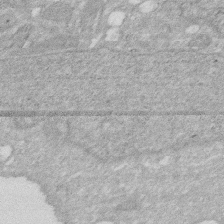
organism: Human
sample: HIV infected U937 cells